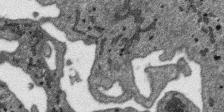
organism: Human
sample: Lung epithelial cells infected with SARS-CoV-2